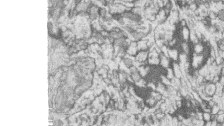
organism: Zebrafish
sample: synaptic ribbons in rod cells and cone cells